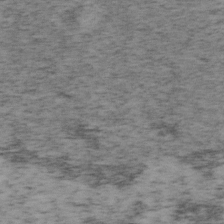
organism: Mouse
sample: OT-I killer T cells with ID8 ovarian cancer cells